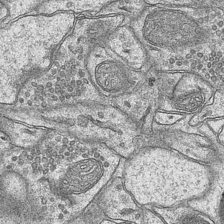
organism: Mouse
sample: CA1 Hippocampus